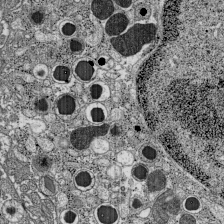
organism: C57BL Mouse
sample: Pancreatic islet